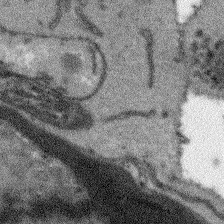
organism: Arabidopsis thaliana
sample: Root tip